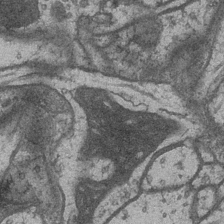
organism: Drosophila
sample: Optic medulla